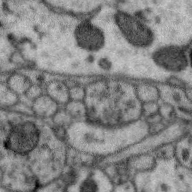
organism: Zebra finch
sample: Brain